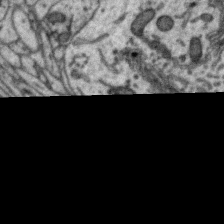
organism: Zebra finch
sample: Brain